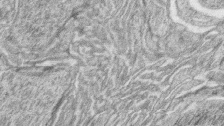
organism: Zebrafish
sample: synaptic ribbons in rod cells and cone cells